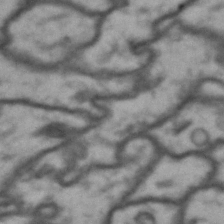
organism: Drosophila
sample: Brain